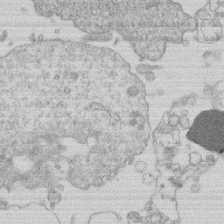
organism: Human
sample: Macrophage cells